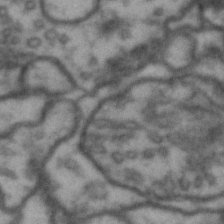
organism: Drosophila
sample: Brain